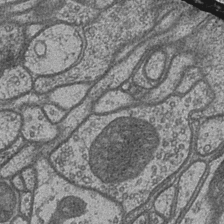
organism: Drosophila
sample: Optic medulla